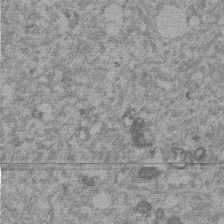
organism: Mouse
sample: Dividing mouse embryo 1 cell stage